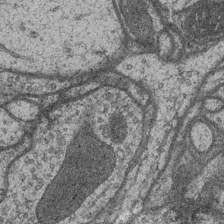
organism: Drosophila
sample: Optic medulla